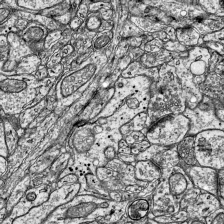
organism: Mouse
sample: Visual Cortex